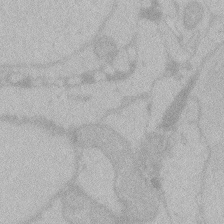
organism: Zebrafish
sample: Macrophage infected with Toxoplasma gondii